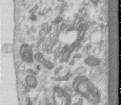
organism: Human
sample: Centriole in RPE cells